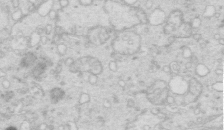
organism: Mouse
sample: Multiciliated cells